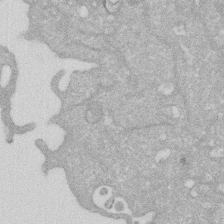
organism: Human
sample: HIV infected U937 cells